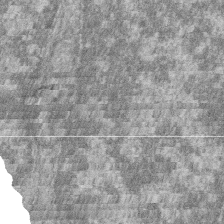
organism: Zebrafish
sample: Cilia; retinal pigment epithelium